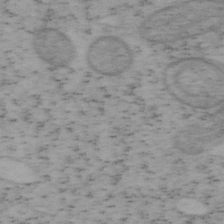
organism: Mouse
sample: OT-I killer T cells with ID8 ovarian cancer cells